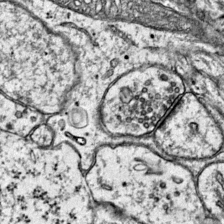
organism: Mouse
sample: Primary visual cortex